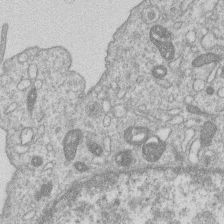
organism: Human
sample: Macrophage cells